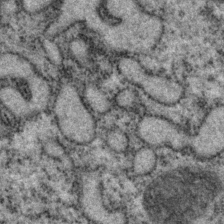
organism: P. pacificus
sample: Pharynx